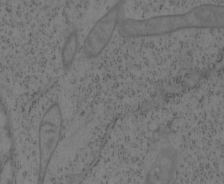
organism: Mouse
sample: OT-I killer T cells with ID8 ovarian cancer cells